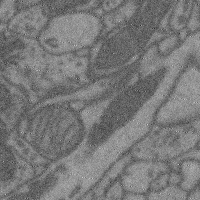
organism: Mouse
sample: Cerebral cortex